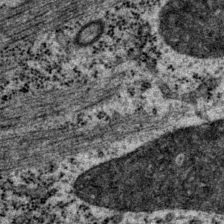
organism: P. pacificus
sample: Pharynx